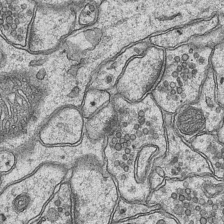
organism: Mouse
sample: CA1 Hippocampus